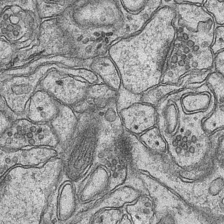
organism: Mouse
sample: CA1 Hippocampus